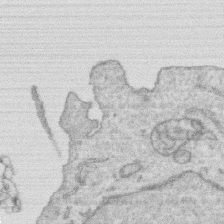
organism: Human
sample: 1205lu cells